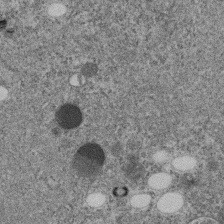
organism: C. elegans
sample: C. elegans embryo early stage